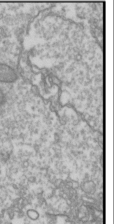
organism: Drosophila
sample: Cell division; meiosis; drosophila spermatocytes